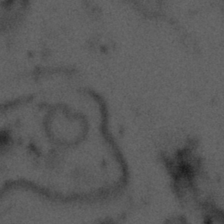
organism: Tuwongella immobilis